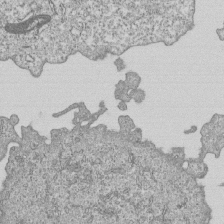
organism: Human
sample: MDA-MB-231 cells